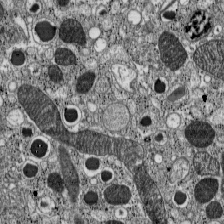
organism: C57BL Mouse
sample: Pancreatic islet